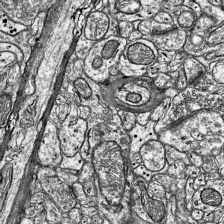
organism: Mouse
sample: Visual Cortex